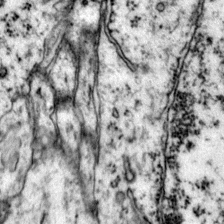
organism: Mouse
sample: Primary visual cortex